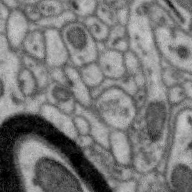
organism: Zebra finch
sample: Brain